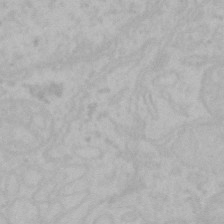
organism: Mouse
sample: Choroid plexus